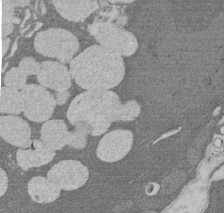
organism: Rat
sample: Salivary granule